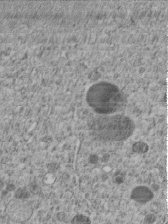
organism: C. elegans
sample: C. elegans embryo early stage